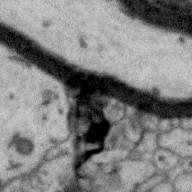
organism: Zebra finch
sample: Brain